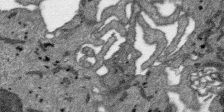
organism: Human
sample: Lung epithelial cells, uninfected (mock) control